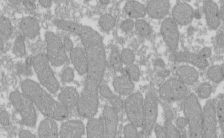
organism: Xenopus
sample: Cilia; centrioles in frog embryo cells